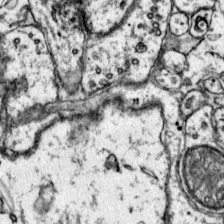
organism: Mouse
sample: Primary visual cortex